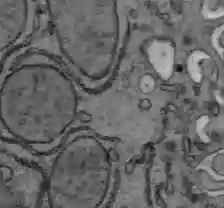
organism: C57BL Mouse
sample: Liver